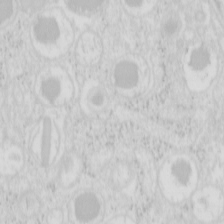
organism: Mouse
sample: Pancreas